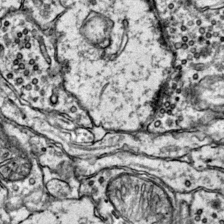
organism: Mouse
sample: Primary visual cortex